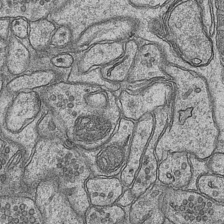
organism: Mouse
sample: CA1 Hippocampus